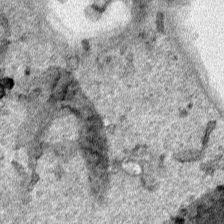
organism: Human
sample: Mitochondria in HCT116 cells